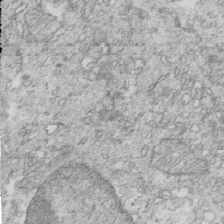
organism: Mouse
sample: Multiciliated cells